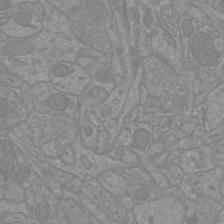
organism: Mouse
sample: Cortical neurons